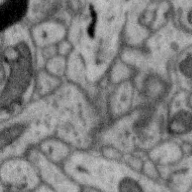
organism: Zebra finch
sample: Brain